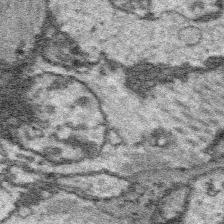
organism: Platynereis dumerilii